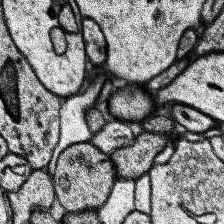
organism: Human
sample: Temporal Lobe